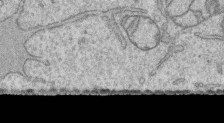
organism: Human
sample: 1205lu cells